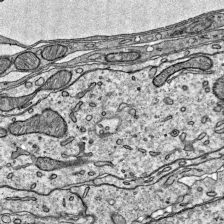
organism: Mouse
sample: Visual Cortex